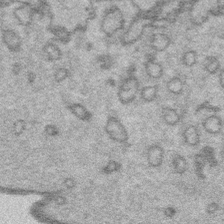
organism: Platynereis dumerilii